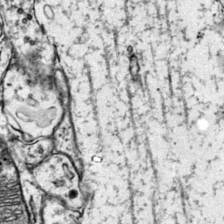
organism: Mouse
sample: Primary visual cortex